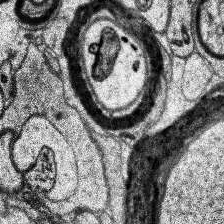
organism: Human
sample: Temporal Lobe